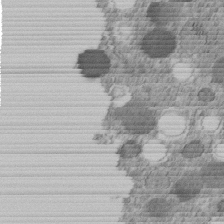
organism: C. elegans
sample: C. elegans embryo early stage